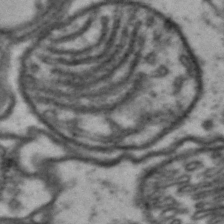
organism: Drosophila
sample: Brain